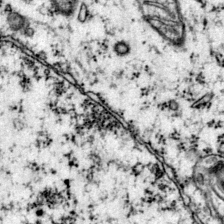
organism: Mouse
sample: Primary visual cortex